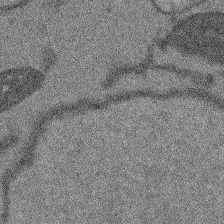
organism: Arabidopsis thaliana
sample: Root tip